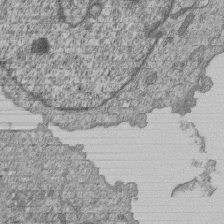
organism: Human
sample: MDA-MB-231 cells